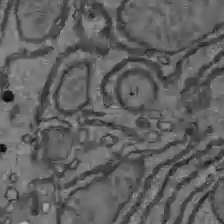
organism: C57BL Mouse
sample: Liver